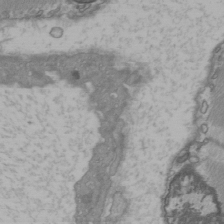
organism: C57BL Mouse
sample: Heart